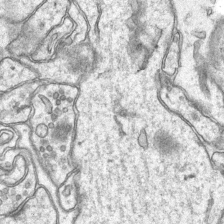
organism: Mouse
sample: CA1 Hippocampus